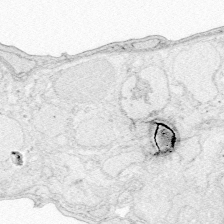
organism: Zebrafish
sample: Whole-Brain